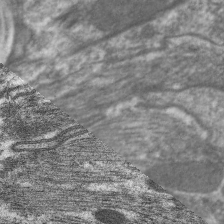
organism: C. elegans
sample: Pharynx